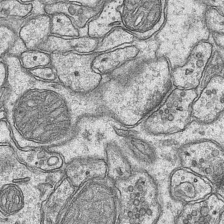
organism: Mouse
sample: CA1 Hippocampus